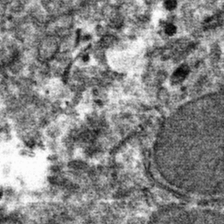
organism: Mouse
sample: Mouse hepatocytes